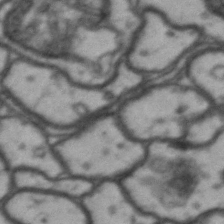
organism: Drosophila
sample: Brain